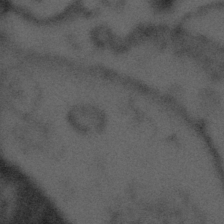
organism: Tuwongella immobilis